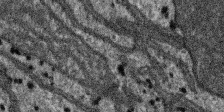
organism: Human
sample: Lung epithelial cells infected with SARS-CoV-2